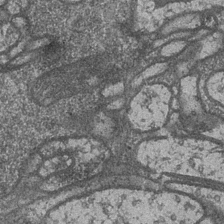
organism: Drosophila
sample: Optic medulla